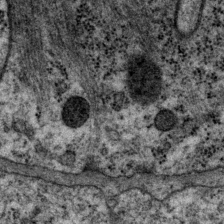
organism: P. pacificus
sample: Pharynx